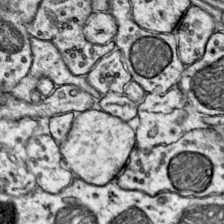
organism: Mouse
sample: Primary visual cortex